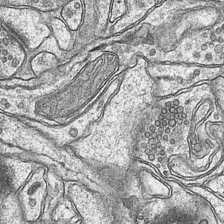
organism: Mouse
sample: CA1 Hippocampus